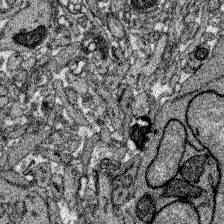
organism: Zebrafish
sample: Larval olfactory bulb